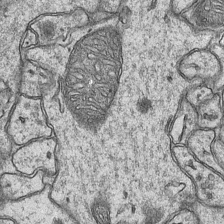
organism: Mouse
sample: CA1 Hippocampus